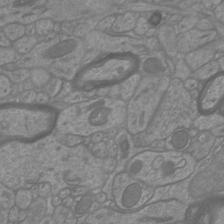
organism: Mouse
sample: Cortical neurons